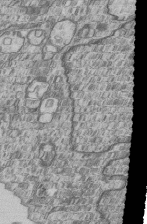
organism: Human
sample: MDA-MB-231 cells